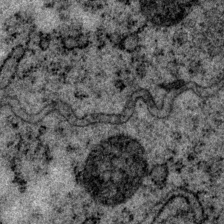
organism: P. pacificus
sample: Pharynx